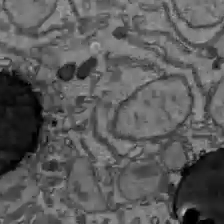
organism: C57BL Mouse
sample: Liver